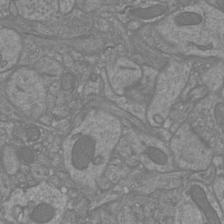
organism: Mouse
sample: Cortical neurons